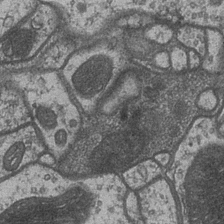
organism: Drosophila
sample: Optic medulla